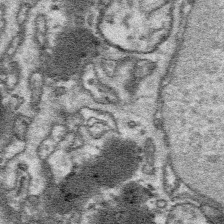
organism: Platynereis dumerilii